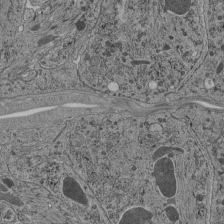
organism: C. elegans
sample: C. elegans pharynx